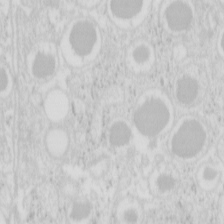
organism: Mouse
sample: Pancreas